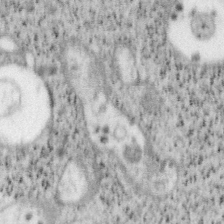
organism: Mouse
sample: OT-I killer T cells with ID8 ovarian cancer cells